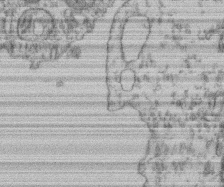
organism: Mouse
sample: T cell stromal cell synapse